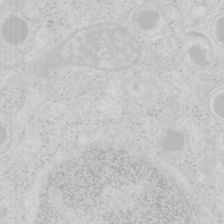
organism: Mouse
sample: Pancreas